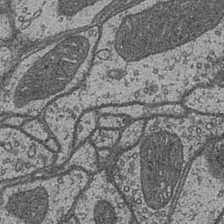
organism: Drosophila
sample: Optic medulla